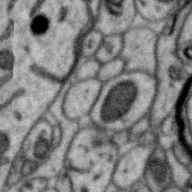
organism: Zebra finch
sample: Brain